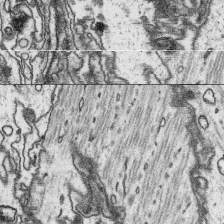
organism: Platynereis dumerilii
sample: Parapodia